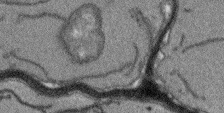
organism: Arabidopsis thaliana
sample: Root tip